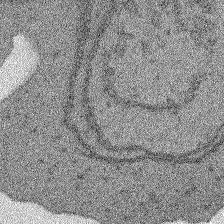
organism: Human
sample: HeLa cells